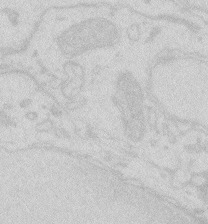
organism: Zebrafish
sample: Macrophage